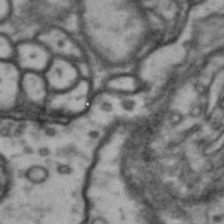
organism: Drosophila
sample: Brain